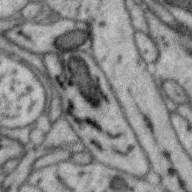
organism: Zebra finch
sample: Brain